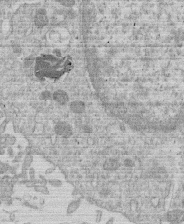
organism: Human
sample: Macrophage cells